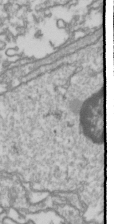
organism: Drosophila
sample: Cell division; meiosis; drosophila spermatocytes